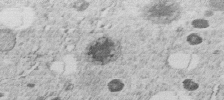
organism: C. elegans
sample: C. elegans embryo early stage